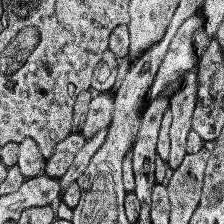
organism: Human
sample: Temporal Lobe